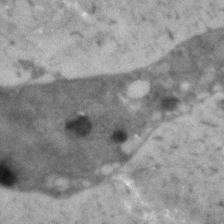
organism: Human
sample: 1205lu cells